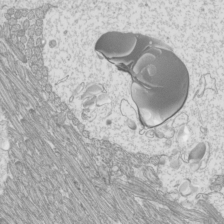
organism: Mouse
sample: Cilia; mouse epididymis